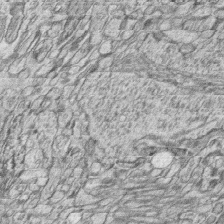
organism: Zebrafish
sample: synaptic ribbons in rod cells and cone cells